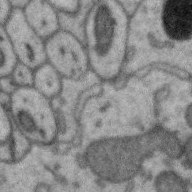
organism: Zebra finch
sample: Brain